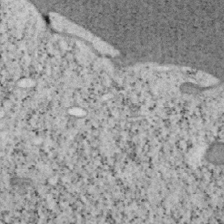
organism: Mouse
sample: OT-I killer T cells with ID8 ovarian cancer cells